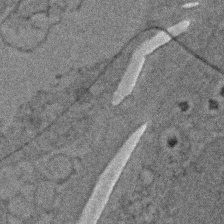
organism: Zebrafish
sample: Zebrafish embryo